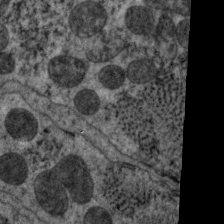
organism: C. elegans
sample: Pharynx